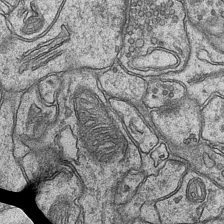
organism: Mouse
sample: CA1 Hippocampus